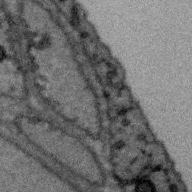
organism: Zebra finch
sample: Brain